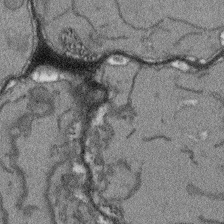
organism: Arabidopsis thaliana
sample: Root tip